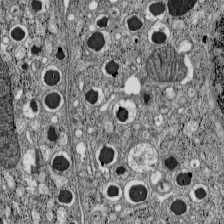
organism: C57BL Mouse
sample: Pancreatic islet